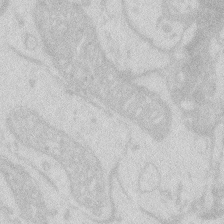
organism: Zebrafish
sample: Macrophage